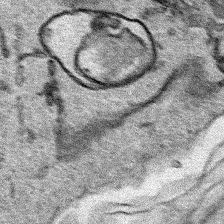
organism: Human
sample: Mitochondria in HCT116 cells